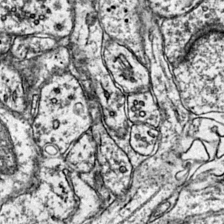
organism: Mouse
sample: Primary visual cortex